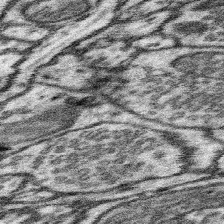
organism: Mouse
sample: Somatosensory cortex neuropil